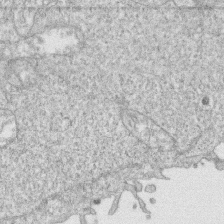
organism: Human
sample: HeLa cell HIV synapse